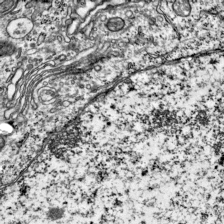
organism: Mouse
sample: Visual Cortex